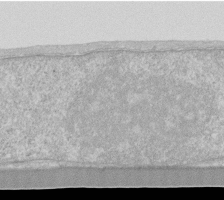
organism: Human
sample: Fibroblast cells